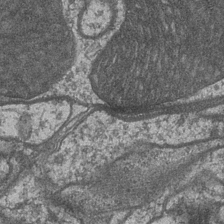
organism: Drosophila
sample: Optic medulla